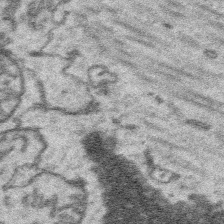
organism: Platynereis dumerilii